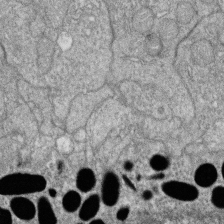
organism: Zebrafish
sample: Cilia; retinal pigment epithelium